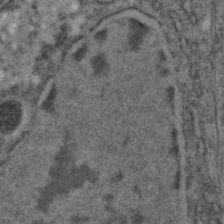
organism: C. elegans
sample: C. elegans embryo